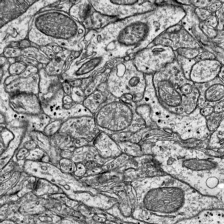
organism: Mouse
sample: Visual Cortex